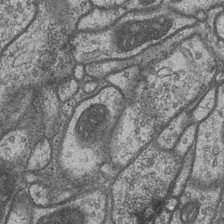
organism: Drosophila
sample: Optic medulla